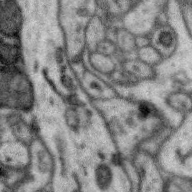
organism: Zebra finch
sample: Brain